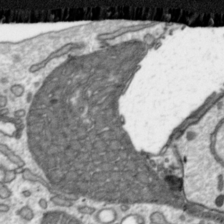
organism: Toxoplasma gondii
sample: Parasites in a vacuole inside a host cell